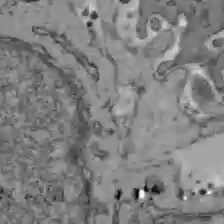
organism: C57BL Mouse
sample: Liver